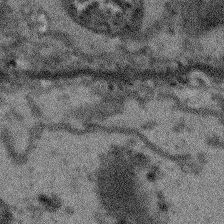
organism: Arabidopsis thaliana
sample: Root tip